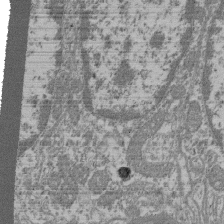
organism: Mouse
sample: Glomerulus